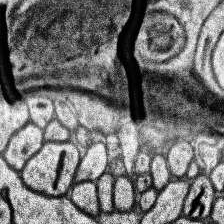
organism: Human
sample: Temporal Lobe